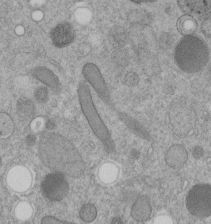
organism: C. elegans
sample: C. elegans embryo early stage